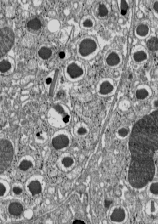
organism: C57BL Mouse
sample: Pancreatic islet